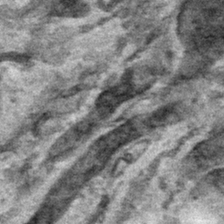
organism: Human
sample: Mitochondria in HCT116 cells